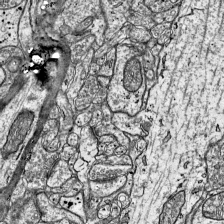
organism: Mouse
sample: Visual Cortex